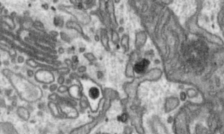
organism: Toxoplasma gondii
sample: Parasites in a vacuole inside a host cell